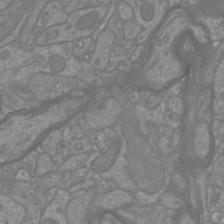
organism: Mouse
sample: Cortical neurons